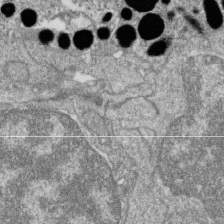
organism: Zebrafish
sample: Cilia; retinal pigment epithelium